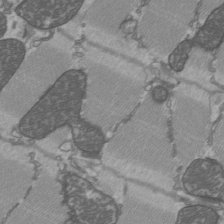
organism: C57BL Mouse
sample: Heart